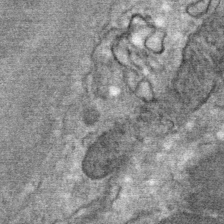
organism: Mouse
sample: Mouse Salivary gland